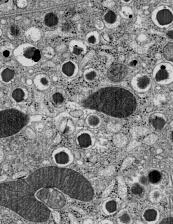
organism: C57BL Mouse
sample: Pancreatic islet